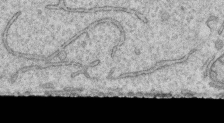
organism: Human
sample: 1205lu cells